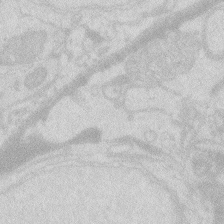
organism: Zebrafish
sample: Macrophage